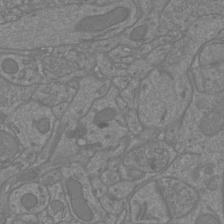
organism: Mouse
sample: Cortical neurons